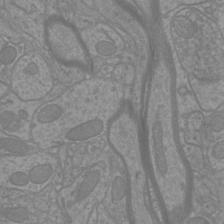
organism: Mouse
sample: Cortical neurons